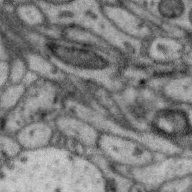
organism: Zebra finch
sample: Brain